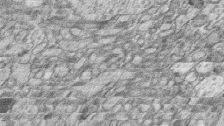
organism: Zebrafish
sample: synaptic ribbons in rod cells and cone cells